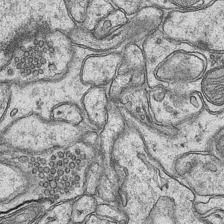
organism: Mouse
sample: CA1 Hippocampus